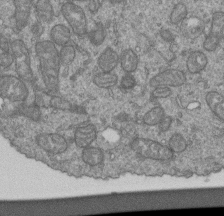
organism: Human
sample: Retinal organoid Rod and Cone cells